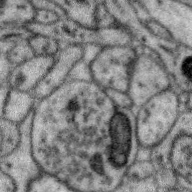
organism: Zebra finch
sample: Brain